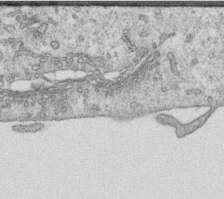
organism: Human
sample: Centriole in RPE cells